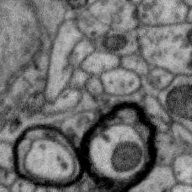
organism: Zebra finch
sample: Brain